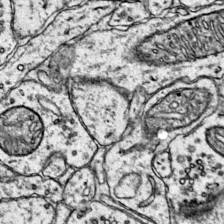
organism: Mouse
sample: Primary visual cortex